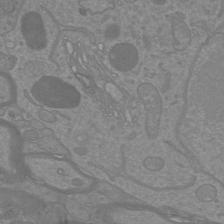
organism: Mouse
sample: Cortical neurons